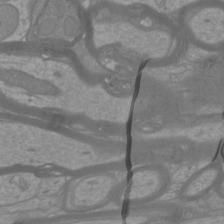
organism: Mouse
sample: Cortical neurons